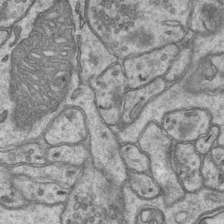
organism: Mouse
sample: CA1 Hippocampus